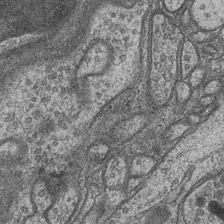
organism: Drosophila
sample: Optic medulla